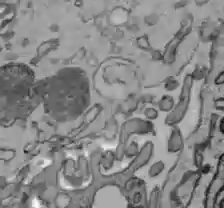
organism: C57BL Mouse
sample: Liver